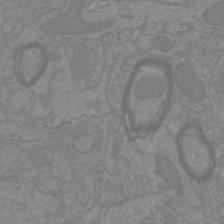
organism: Mouse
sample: Cortical neurons